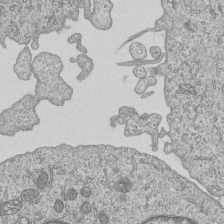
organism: Human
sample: MDA-MB-231 cells